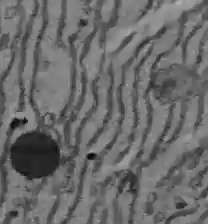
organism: C57BL Mouse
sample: Liver